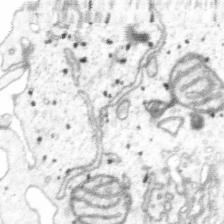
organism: Human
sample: HeLa cells